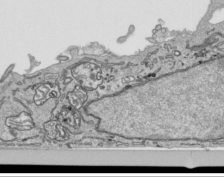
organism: Human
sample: Mitochondria in HCT116 cells